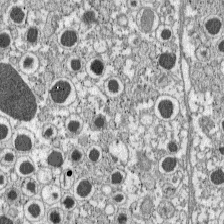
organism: C57BL Mouse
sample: Pancreatic islet